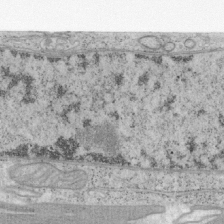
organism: Human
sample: HeLa cells